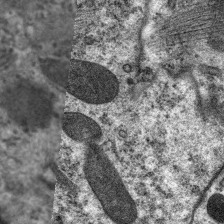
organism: C. elegans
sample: Pharynx